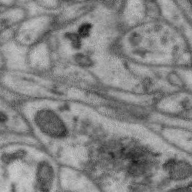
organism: Zebra finch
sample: Brain